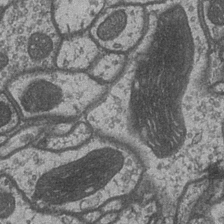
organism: Drosophila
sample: Optic medulla